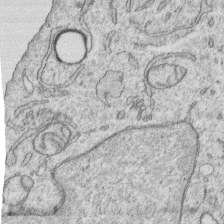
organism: Human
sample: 1205lu cells